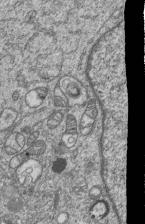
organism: Human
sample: MDA-MB-231 cells